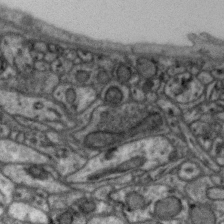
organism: Zebra finch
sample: Brain